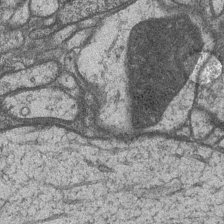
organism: Drosophila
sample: Optic medulla